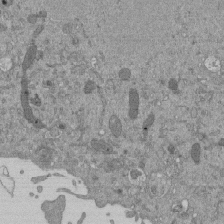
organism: Mouse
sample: ED-1 cell nuclei; centrioles